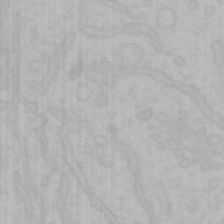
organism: Mouse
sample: Choroid plexus